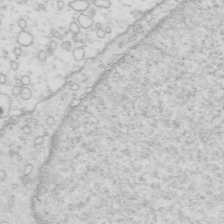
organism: Mouse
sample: Multiciliated cells